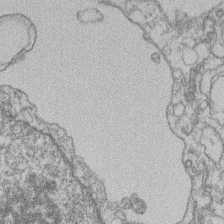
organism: Mouse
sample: T cell stromal cell synapse